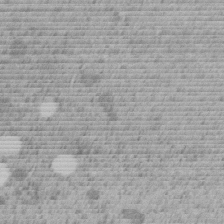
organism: C. elegans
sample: C. elegans embryo early stage